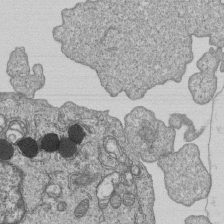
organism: Human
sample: MDA-MB-231 cells